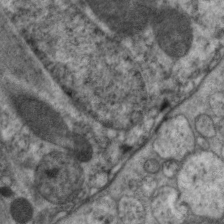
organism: C. elegans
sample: Pharynx